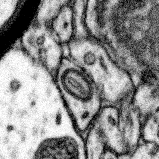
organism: Mouse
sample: Somatosensory cortex neuropil